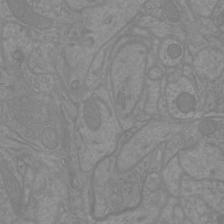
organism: Mouse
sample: Cortical neurons